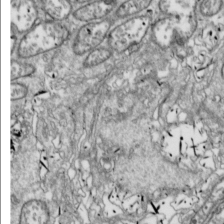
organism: Drosophila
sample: Cell division; meiosis; drosophila spermatocytes